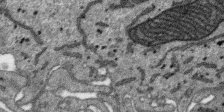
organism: Human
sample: Lung epithelial cells, uninfected (mock) control